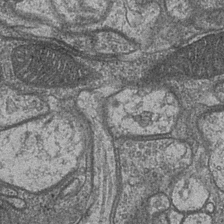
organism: Drosophila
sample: Optic medulla